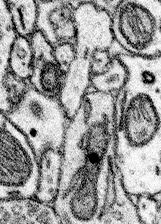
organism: Mouse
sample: Somatosensory cortex neuropil